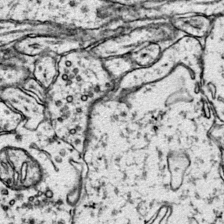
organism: Mouse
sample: Primary visual cortex